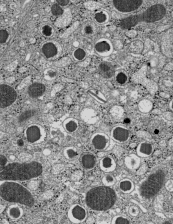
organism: C57BL Mouse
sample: Pancreatic islet